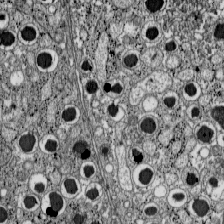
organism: C57BL Mouse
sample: Pancreatic islet